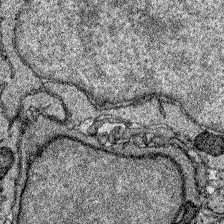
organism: Zebrafish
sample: Larval olfactory bulb